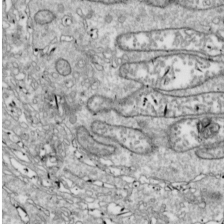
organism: Drosophila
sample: Cell division; meiosis; drosophila spermatocytes